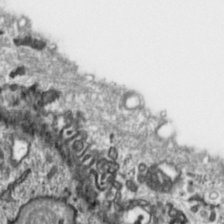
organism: Toxoplasma gondii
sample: Parasites in a vacuole inside a host cell